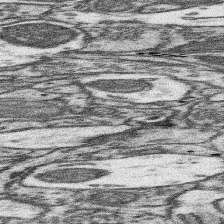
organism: Mouse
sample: Somatosensory cortex neuropil